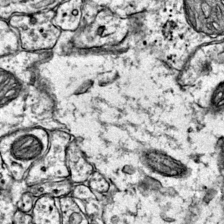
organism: Mouse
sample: Primary visual cortex